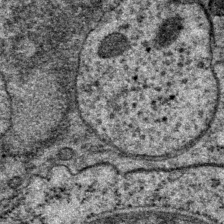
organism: P. pacificus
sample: Pharynx